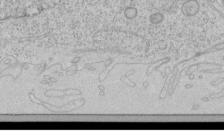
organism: Human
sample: Mitochondria in HCT116 cells